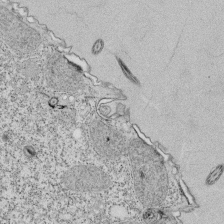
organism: Tetrahymena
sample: Cilia in tetrahymena